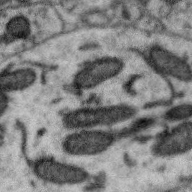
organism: Zebra finch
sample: Brain